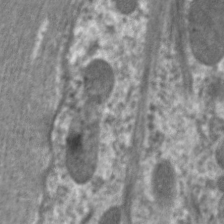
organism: C. elegans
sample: Pharynx